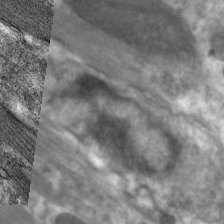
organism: C. elegans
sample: Pharynx